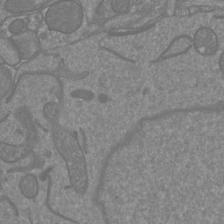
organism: Mouse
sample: Cortical neurons